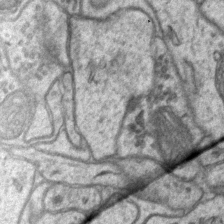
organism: Mouse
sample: CA1 Hippocampus